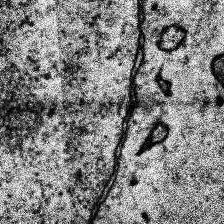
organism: Human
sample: Temporal Lobe